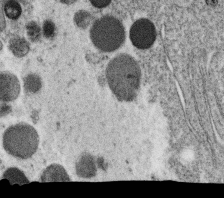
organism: C. elegans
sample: C. elegans oocyte; sperm cells